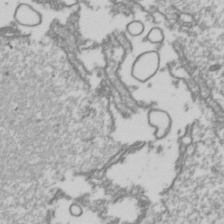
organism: Drosophila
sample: Cell division; meiosis; drosophila spermatocytes